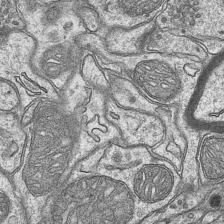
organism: Mouse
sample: CA1 Hippocampus